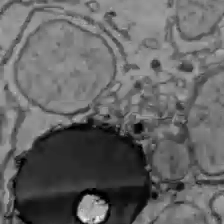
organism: C57BL Mouse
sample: Liver